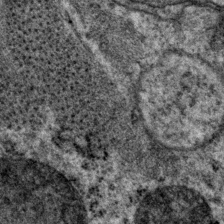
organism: P. pacificus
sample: Pharynx